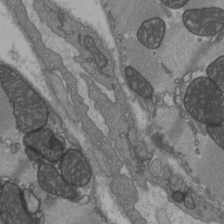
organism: C57BL Mouse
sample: Heart